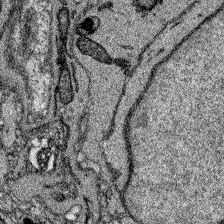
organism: Zebrafish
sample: Larval olfactory bulb